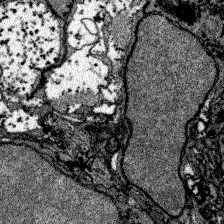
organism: Zebrafish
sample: Larval olfactory bulb